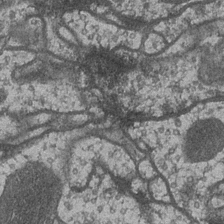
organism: Drosophila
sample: Optic medulla